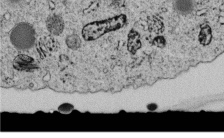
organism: C. elegans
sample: C. elegans embryo early stage